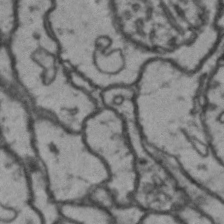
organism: Drosophila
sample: Brain